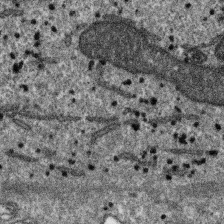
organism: Human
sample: Lung epithelial cells infected with SARS-CoV-2